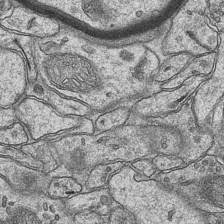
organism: Mouse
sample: CA1 Hippocampus